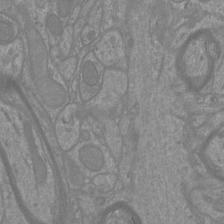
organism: Mouse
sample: Cortical neurons